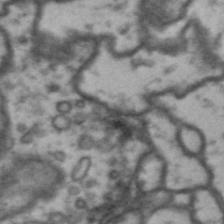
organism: Drosophila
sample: Brain